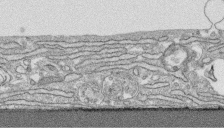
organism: Human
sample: CRL-1474